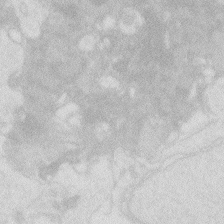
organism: Zebrafish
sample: Macrophage